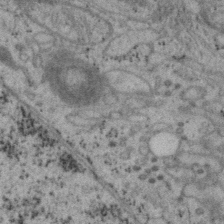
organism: Human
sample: HeLa cells